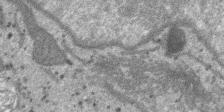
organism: Human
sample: Lung epithelial cells infected with SARS-CoV-2